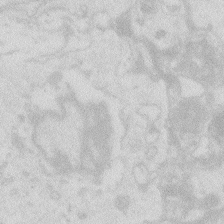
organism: Zebrafish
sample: Macrophage